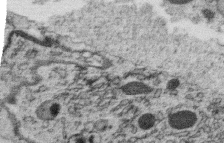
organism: C. elegans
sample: C. elegans oocyte; sperm cells